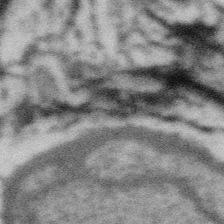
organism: Gemmata obscuriglobus